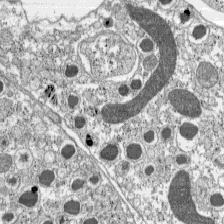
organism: C57BL Mouse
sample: Pancreatic islet